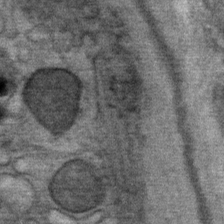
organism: Mouse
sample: Mouse Salivary gland